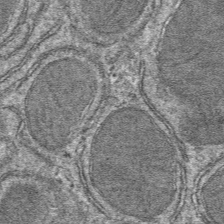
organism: Mouse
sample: Mouse hepatocytes